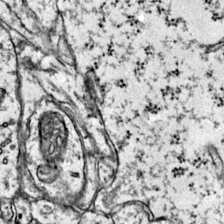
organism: Mouse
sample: Primary visual cortex